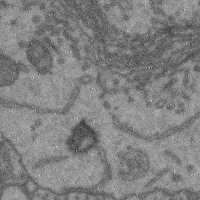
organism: Mouse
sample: Cerebral cortex